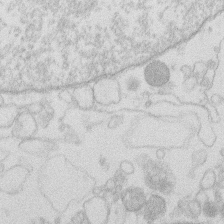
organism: Human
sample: Macrophage cells